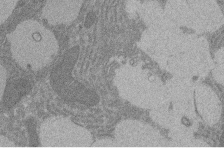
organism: Rat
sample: Salivary granule